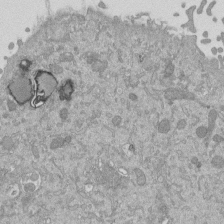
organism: Mouse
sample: ED-1 cell nuclei; centrioles